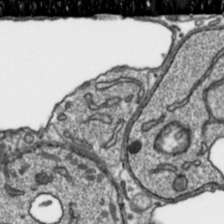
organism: Toxoplasma gondii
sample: Parasites in a vacuole inside a host cell